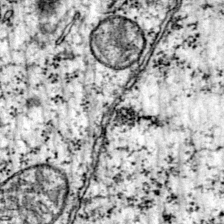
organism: Mouse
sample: Primary visual cortex